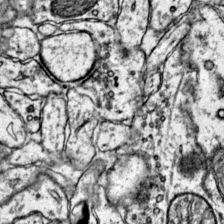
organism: Mouse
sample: Primary visual cortex